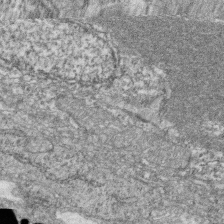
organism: Zebrafish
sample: Cilia; retinal pigment epithelium